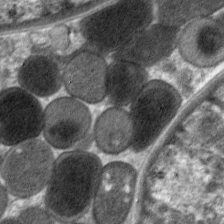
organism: C. elegans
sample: Pharynx